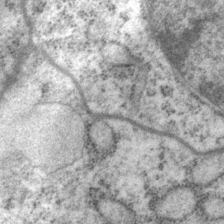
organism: P. pacificus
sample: Pharynx